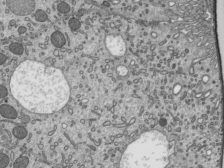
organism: Mouse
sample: Mouse epididymis efferent ductule cilia